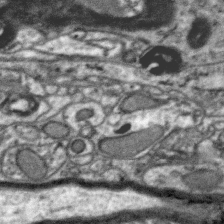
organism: Zebra finch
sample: Brain